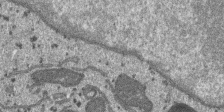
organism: Human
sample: Lung epithelial cells infected with SARS-CoV-2